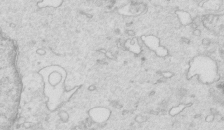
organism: Mouse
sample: Multiciliated cells